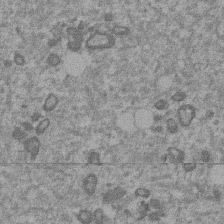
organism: Mouse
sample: Dividing mouse embryo 1 cell stage